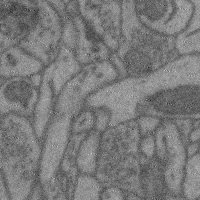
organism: Mouse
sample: Cerebral cortex